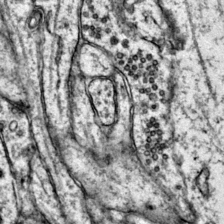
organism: Mouse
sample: Primary visual cortex